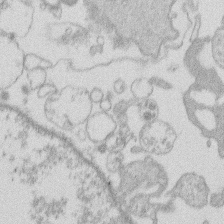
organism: Human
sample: Macrophage cells